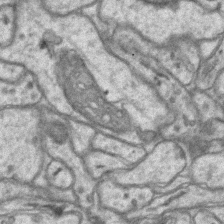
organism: Mouse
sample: CA1 Hippocampus